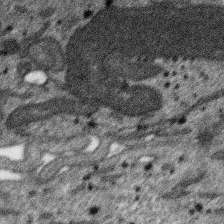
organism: Human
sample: Lung epithelial cells infected with SARS-CoV-2